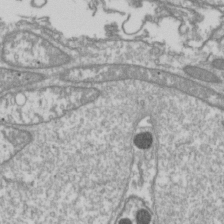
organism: Drosophila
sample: Cell division; meiosis; drosophila spermatocytes